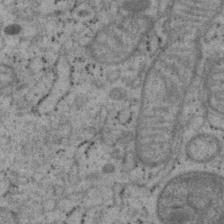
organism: Human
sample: HeLa cells